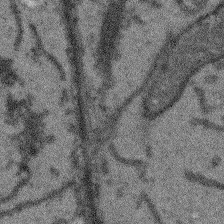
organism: Arabidopsis thaliana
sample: Root tip